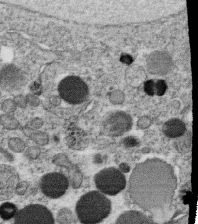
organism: C. elegans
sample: C. elegans oocyte; sperm cells